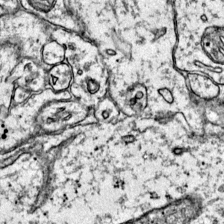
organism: Mouse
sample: Primary visual cortex